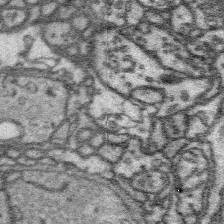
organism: Platynereis dumerilii